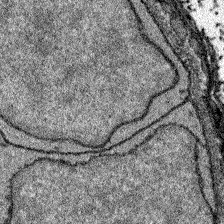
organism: Zebrafish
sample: Larval olfactory bulb